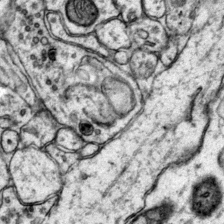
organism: Mouse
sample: Primary visual cortex